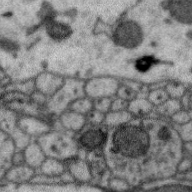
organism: Zebra finch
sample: Brain